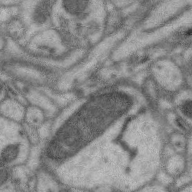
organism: Zebra finch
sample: Brain